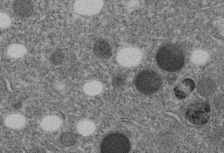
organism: C. elegans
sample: C. elegans embryo early stage